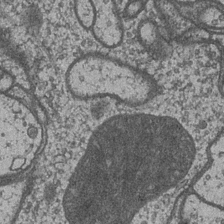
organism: Drosophila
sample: Optic medulla